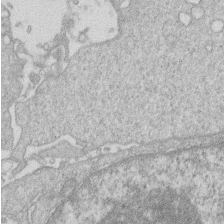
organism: Human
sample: Macrophage cells